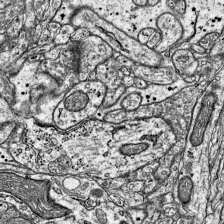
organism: Mouse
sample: Visual Cortex